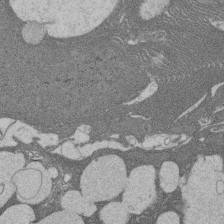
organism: Rat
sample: Salivary granule